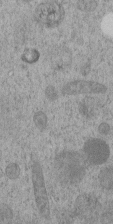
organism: C. elegans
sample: C. elegans embryo early stage